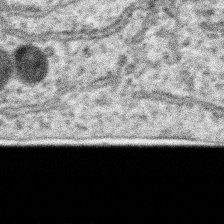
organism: Human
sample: HeLa cells